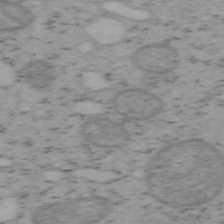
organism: Mouse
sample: OT-I killer T cells with ID8 ovarian cancer cells